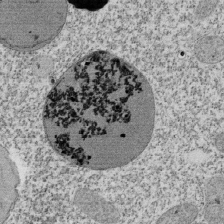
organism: Tetrahymena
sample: Cilia in tetrahymena